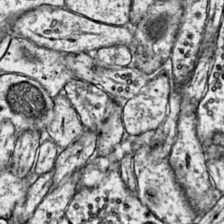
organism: Mouse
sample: Primary visual cortex